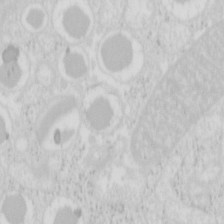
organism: Mouse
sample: Pancreas